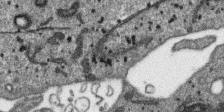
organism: Human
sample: Lung epithelial cells infected with SARS-CoV-2